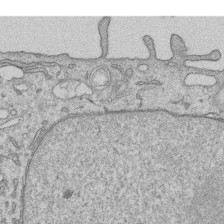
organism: Human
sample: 1205lu cells